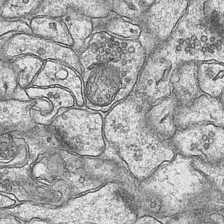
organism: Mouse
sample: CA1 Hippocampus